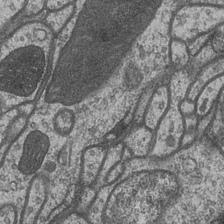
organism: Drosophila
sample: Optic medulla